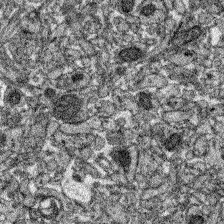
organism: Zebrafish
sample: Larval olfactory bulb